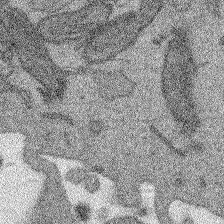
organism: Human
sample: HeLa cells